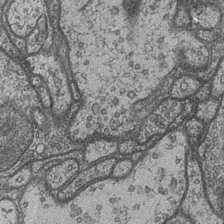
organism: Drosophila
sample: Optic medulla